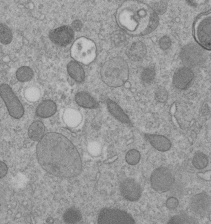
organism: C. elegans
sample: C. elegans embryo early stage